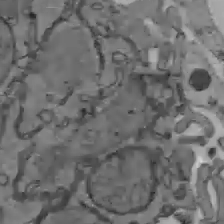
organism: C57BL Mouse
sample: Liver